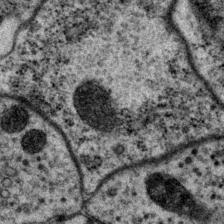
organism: P. pacificus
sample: Pharynx